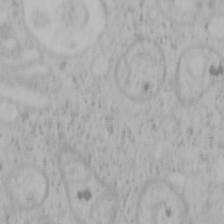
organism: Mouse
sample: OT-I killer T cells with ID8 ovarian cancer cells